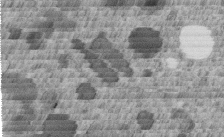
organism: C. elegans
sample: C. elegans embryo early stage